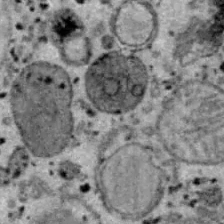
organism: Mouse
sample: Liver from an obese (ob/ob) mouse